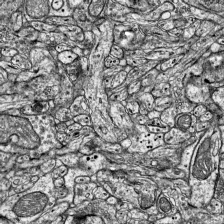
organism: Mouse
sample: Visual Cortex